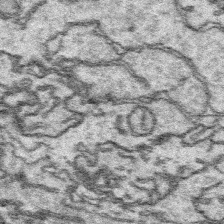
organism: Platynereis dumerilii